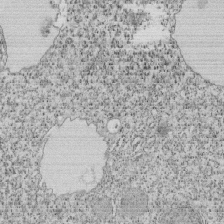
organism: Tetrahymena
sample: Cilia in tetrahymena